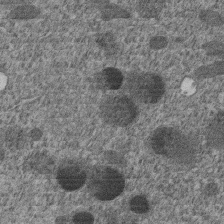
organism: C. elegans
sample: C. elegans embryo early stage